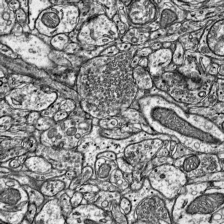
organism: Mouse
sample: Visual Cortex